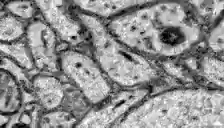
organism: Zebrafish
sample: Brain